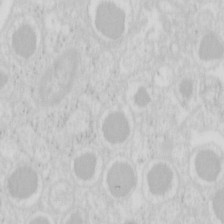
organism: Mouse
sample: Pancreas